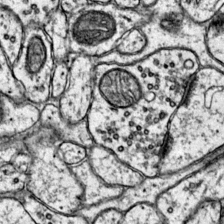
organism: Mouse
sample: Primary visual cortex